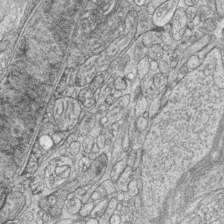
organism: Zebrafish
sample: synaptic ribbons in rod cells and cone cells